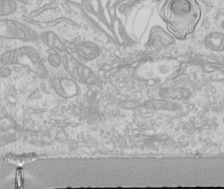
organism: Human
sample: Centriole in RPE cells